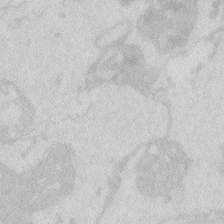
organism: Zebrafish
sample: Macrophage